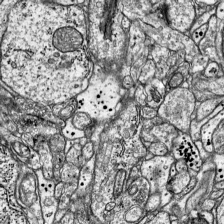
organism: Mouse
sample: Visual Cortex